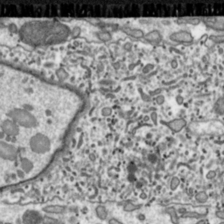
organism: Toxoplasma gondii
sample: Parasites in a vacuole inside a host cell